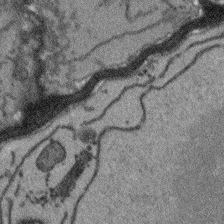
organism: Arabidopsis thaliana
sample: Root tip